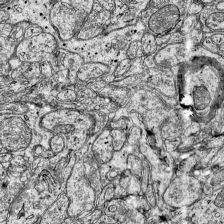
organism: Mouse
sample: Visual Cortex